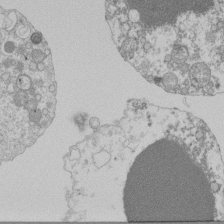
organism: Mouse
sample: Activated Pmel transgenic CD8+ T Cells